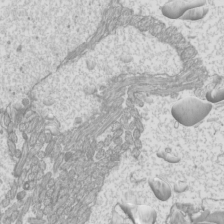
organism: Mouse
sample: Cilia; mouse epididymis